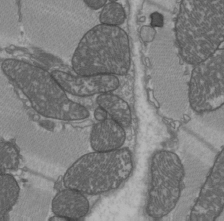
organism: C57BL Mouse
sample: Heart